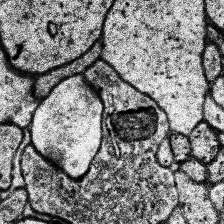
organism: Human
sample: Temporal Lobe